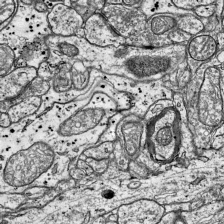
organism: Mouse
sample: Visual Cortex